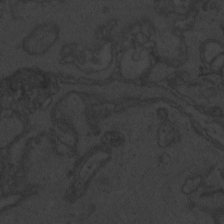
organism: Zebrafish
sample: Macrophage infected with Toxoplasma gondii